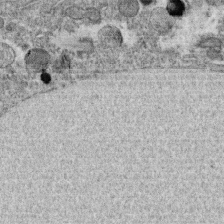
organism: C. elegans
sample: C. elegans oocyte; sperm cells